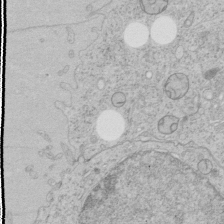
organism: Human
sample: Mitochondria in HCT116 cells